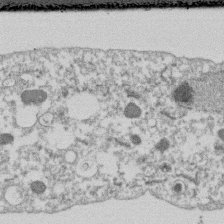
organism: Dictyostelium discoideum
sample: Dictyostelium multivesicular bodies